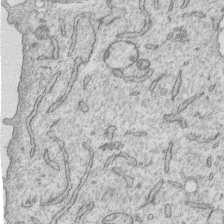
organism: Human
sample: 1205lu cells